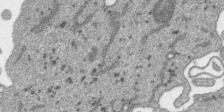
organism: Human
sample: Lung epithelial cells infected with SARS-CoV-2